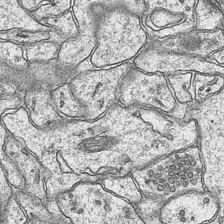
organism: Mouse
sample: CA1 Hippocampus